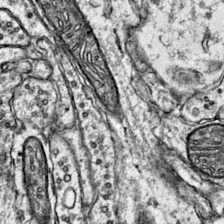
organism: Mouse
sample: Primary visual cortex